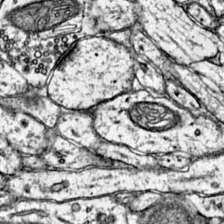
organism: Mouse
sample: Primary visual cortex